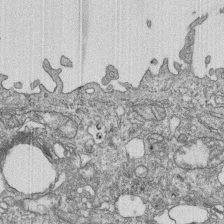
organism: Human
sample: HeLa cell HIV synapse